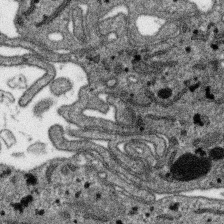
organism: Human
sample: Lung epithelial cells infected with SARS-CoV-2